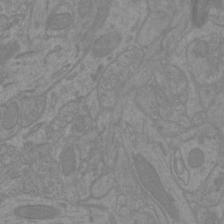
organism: Mouse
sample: Cortical neurons